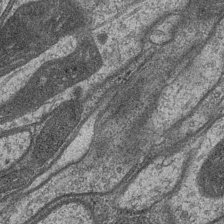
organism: Drosophila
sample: Optic medulla